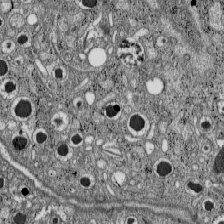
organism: C57BL Mouse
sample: Pancreatic islet